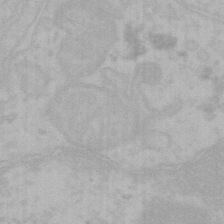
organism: Mouse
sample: Choroid plexus